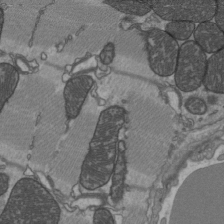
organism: C57BL Mouse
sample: Heart